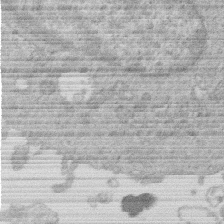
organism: Human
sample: Macrophage cells